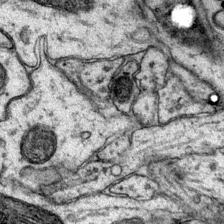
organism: Mouse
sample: Primary visual cortex